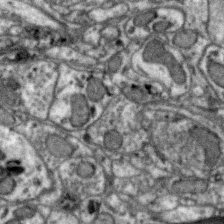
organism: Zebra finch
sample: Brain